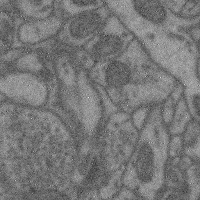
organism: Mouse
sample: Cerebral cortex